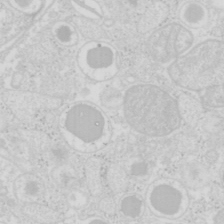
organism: Mouse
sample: Pancreas